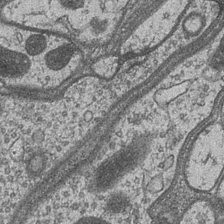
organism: Drosophila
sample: Optic medulla